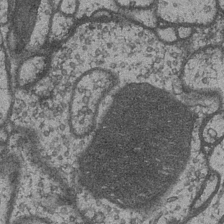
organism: Drosophila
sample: Optic medulla